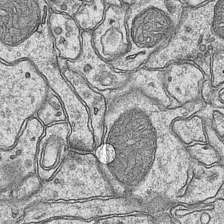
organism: Mouse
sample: CA1 Hippocampus